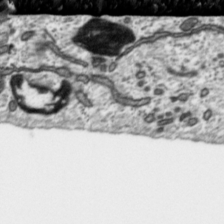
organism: Toxoplasma gondii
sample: Parasites in a vacuole inside a host cell